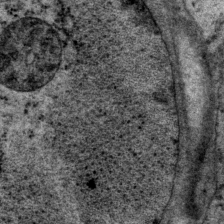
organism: P. pacificus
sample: Pharynx